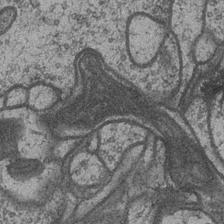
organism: Drosophila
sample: Optic medulla